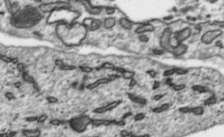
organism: Toxoplasma gondii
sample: Parasites in a vacuole inside a host cell